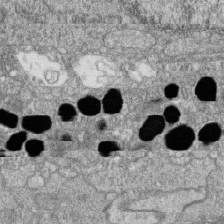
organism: Zebrafish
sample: Cilia; retinal pigment epithelium